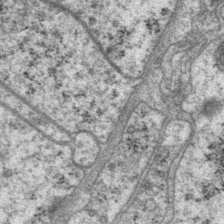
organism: P. pacificus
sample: Pharynx